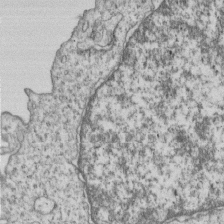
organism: Human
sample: MDA-MB-231 cells